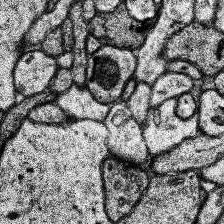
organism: Human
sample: Temporal Lobe